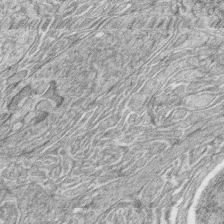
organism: Zebrafish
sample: synaptic ribbons in rod cells and cone cells